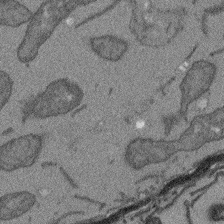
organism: Arabidopsis thaliana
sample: Root tip